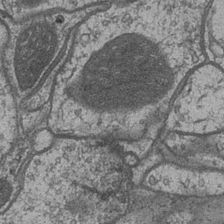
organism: Drosophila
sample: Optic medulla